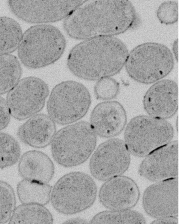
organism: E. coli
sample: Bacterial nucleoid